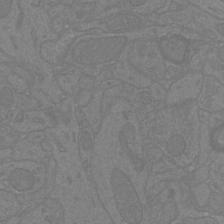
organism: Mouse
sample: Cortical neurons